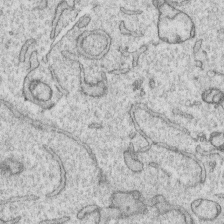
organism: Human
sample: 1205lu cells